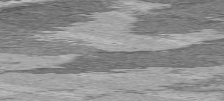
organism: C57BL Mouse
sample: Heart